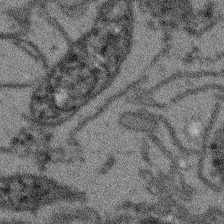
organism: Arabidopsis thaliana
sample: Root tip